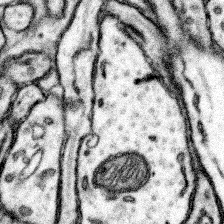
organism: Mouse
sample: Somatosensory cortex neuropil